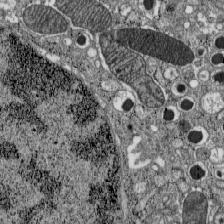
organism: C57BL Mouse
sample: Pancreatic islet